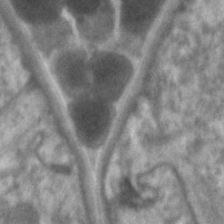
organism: C. elegans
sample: Pharynx